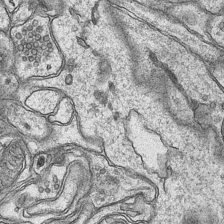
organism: Mouse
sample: CA1 Hippocampus